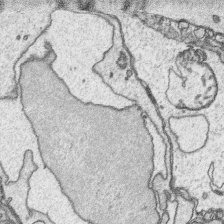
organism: Platynereis dumerilii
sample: Parapodia